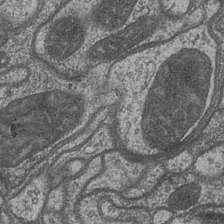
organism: Drosophila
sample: Optic medulla